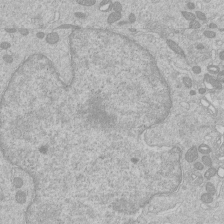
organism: Human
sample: Macrophage cells